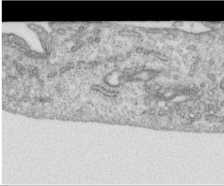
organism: Human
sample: Centriole in RPE cells